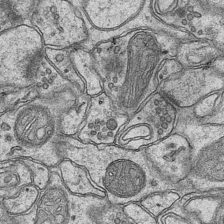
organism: Mouse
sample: CA1 Hippocampus